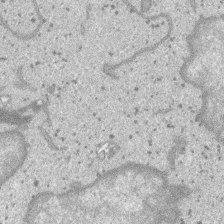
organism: Human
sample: Lung epithelial cells infected with SARS-CoV-2